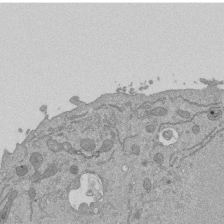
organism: Mouse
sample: ED-1 cell nuclei; centrioles